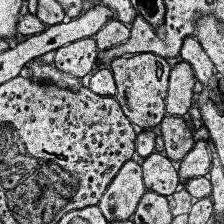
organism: Human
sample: Temporal Lobe